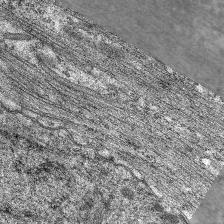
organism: C. elegans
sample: Pharynx